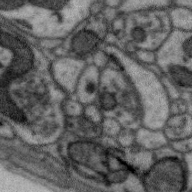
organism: Zebra finch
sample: Brain